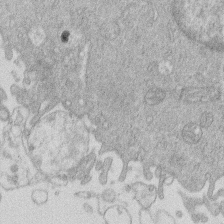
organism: Human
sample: Macrophage cells